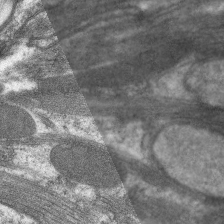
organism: C. elegans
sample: Pharynx